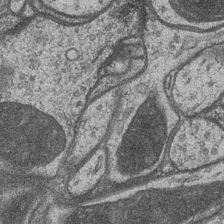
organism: Drosophila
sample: Optic medulla